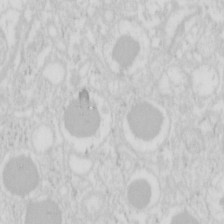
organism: Mouse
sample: Pancreas